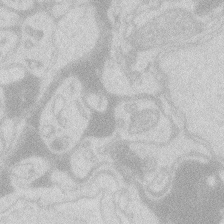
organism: Zebrafish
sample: Macrophage